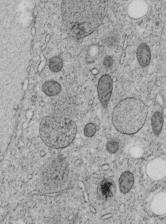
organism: C. elegans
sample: C. elegans embryo early stage